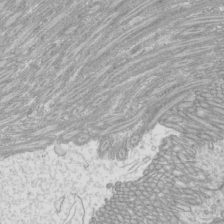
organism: Mouse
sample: Cilia; mouse epididymis